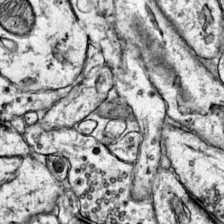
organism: Mouse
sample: Primary visual cortex